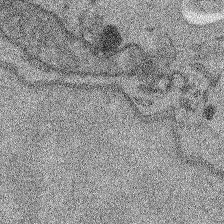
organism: Human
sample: HeLa cells